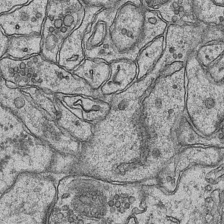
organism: Mouse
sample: CA1 Hippocampus